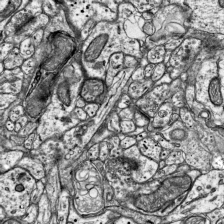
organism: Mouse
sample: Visual Cortex